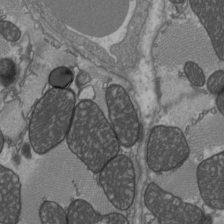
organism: C57BL Mouse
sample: Heart